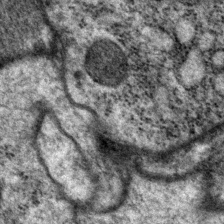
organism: P. pacificus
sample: Pharynx